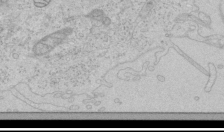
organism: Human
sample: Mitochondria in HCT116 cells